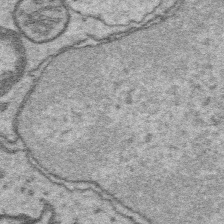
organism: Platynereis dumerilii